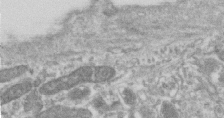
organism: Human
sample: Centriole in RPE cells